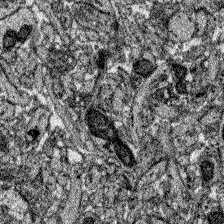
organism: Zebrafish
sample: Larval olfactory bulb